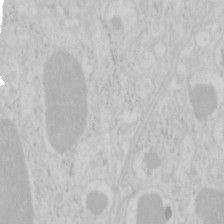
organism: Mouse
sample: Pancreas